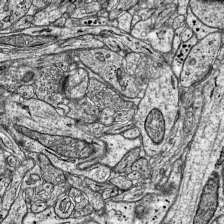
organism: Mouse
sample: Visual Cortex